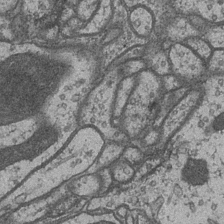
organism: Drosophila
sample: Optic medulla